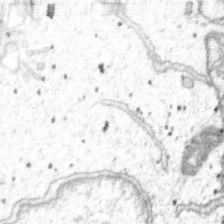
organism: Human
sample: HeLa cells